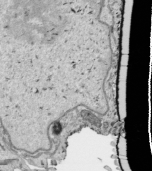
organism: Human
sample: Mitochondria in HCT116 cells